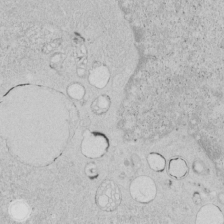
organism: Human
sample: Mitochondria in HCT116 cells